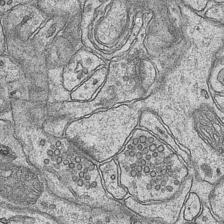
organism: Mouse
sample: CA1 Hippocampus